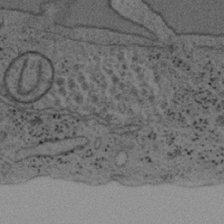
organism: Human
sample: HeLa cells